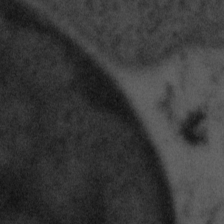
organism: Tuwongella immobilis